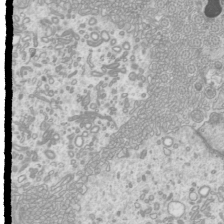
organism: Mouse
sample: Cilia; mouse epididymis